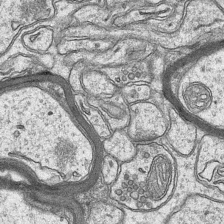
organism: Mouse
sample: CA1 Hippocampus